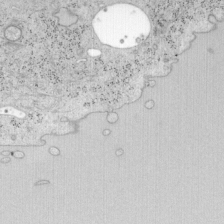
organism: Mouse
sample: OT-I killer T cells with ID8 ovarian cancer cells